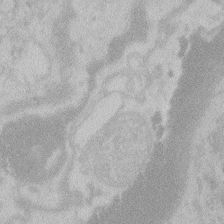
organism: Zebrafish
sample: Macrophage infected with Toxoplasma gondii